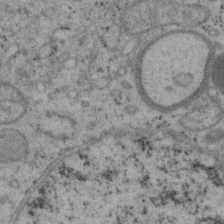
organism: Human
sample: HeLa cells